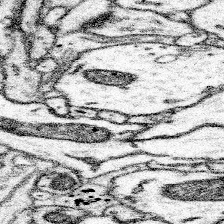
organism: Mouse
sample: Somatosensory cortex neuropil